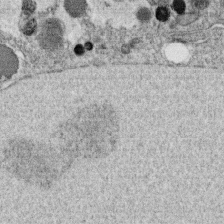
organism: C. elegans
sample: C. elegans oocyte; sperm cells